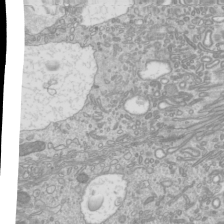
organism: Mouse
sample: Cilia; mouse epididymis